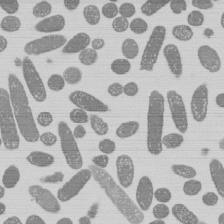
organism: E. coli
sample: Bacterial nucleoid